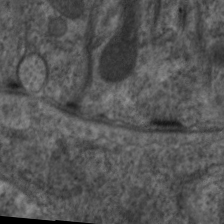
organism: C. elegans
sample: Pharynx